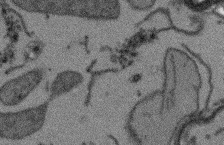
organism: Arabidopsis thaliana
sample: Root tip